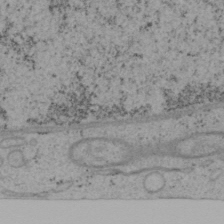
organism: Human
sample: HeLa cells